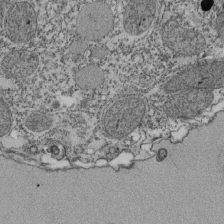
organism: Tetrahymena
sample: Cilia in tetrahymena